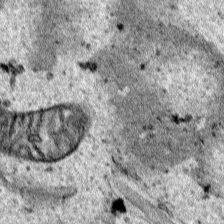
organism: Human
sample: Mitochondria in HCT116 cells